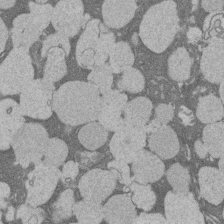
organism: Rat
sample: Salivary granule